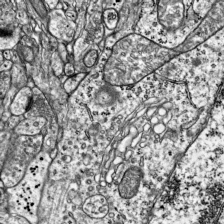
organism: Mouse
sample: Visual Cortex